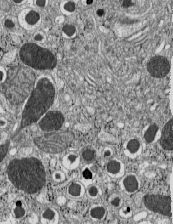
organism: C57BL Mouse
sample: Pancreatic islet